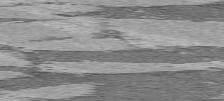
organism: C57BL Mouse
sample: Heart